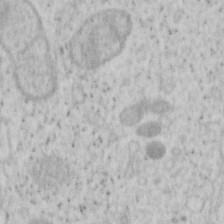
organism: Human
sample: HeLa cells